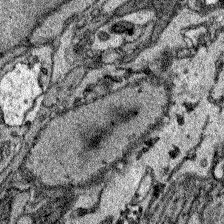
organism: Zebrafish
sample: Larval olfactory bulb